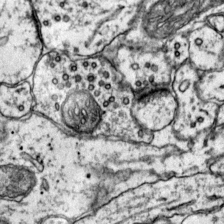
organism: Mouse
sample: Primary visual cortex